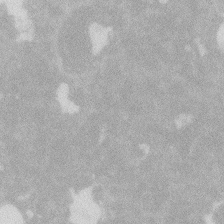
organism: Zebrafish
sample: Macrophage